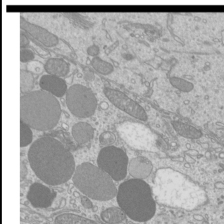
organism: Mouse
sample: Cilia; mouse epididymis